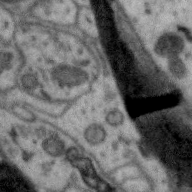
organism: Zebra finch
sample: Brain